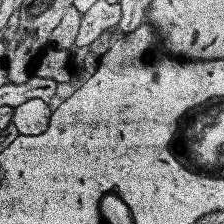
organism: Human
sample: Temporal Lobe